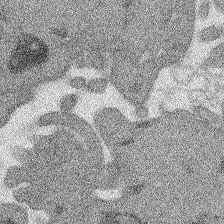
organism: Human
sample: HeLa cells